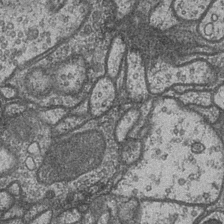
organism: Drosophila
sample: Optic medulla